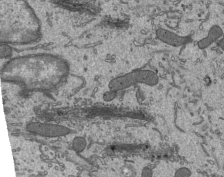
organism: Mouse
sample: Mouse epididymis efferent ductule cilia